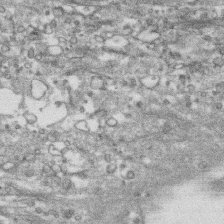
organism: Human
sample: CRL-1474